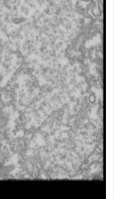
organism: Drosophila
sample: Cell division; meiosis; drosophila spermatocytes